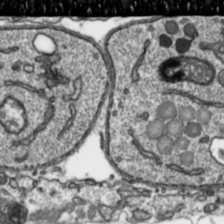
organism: Toxoplasma gondii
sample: Parasites in a vacuole inside a host cell